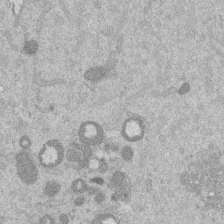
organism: Mouse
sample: Dividing mouse embryo 1 cell stage